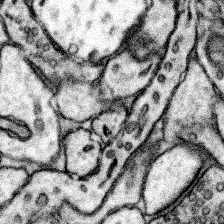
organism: Mouse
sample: Somatosensory cortex neuropil